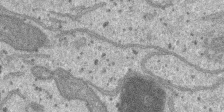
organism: Human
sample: Lung epithelial cells infected with SARS-CoV-2